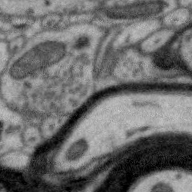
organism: Zebra finch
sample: Brain